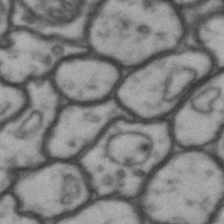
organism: Drosophila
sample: Brain